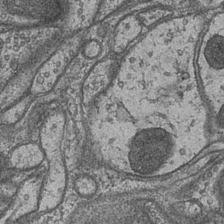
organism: Drosophila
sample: Optic medulla